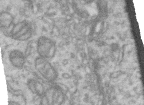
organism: Human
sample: Centriole in RPE cells